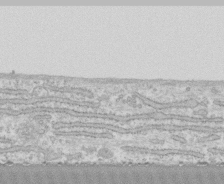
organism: Human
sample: CRL-1474